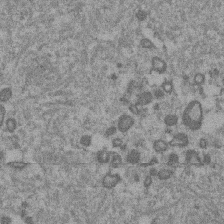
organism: Mouse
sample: Dividing mouse embryo 1 cell stage